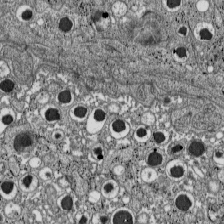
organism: C57BL Mouse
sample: Pancreatic islet